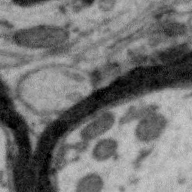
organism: Zebra finch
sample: Brain